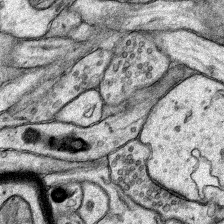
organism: Rat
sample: Hippocampus